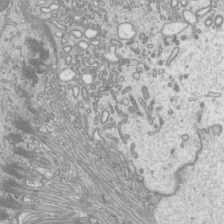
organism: Mouse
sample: Cilia; mouse epididymis